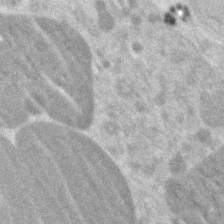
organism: Zebrafish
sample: Zebrafish embryo